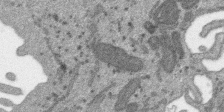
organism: Human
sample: Lung epithelial cells infected with SARS-CoV-2